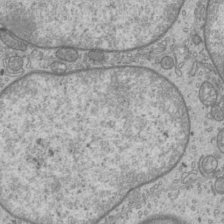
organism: Mouse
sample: Cilia; mouse epididymis